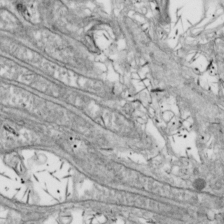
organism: Drosophila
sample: Cell division; meiosis; drosophila spermatocytes